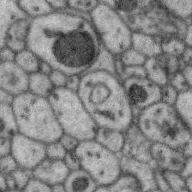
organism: Zebra finch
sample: Brain